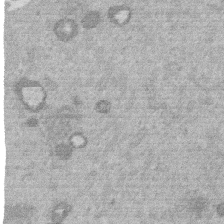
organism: Mouse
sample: Dividing mouse embryo 1 cell stage